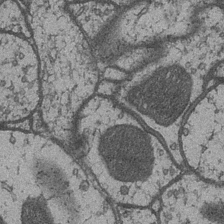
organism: Drosophila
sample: Optic medulla